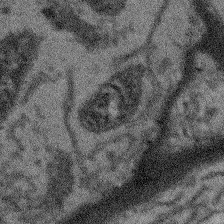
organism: Arabidopsis thaliana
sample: Root tip